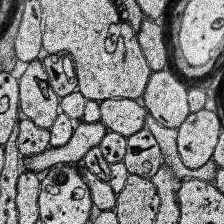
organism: Human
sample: Temporal Lobe